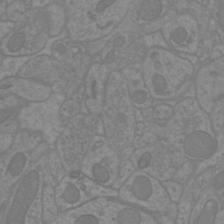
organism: Mouse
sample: Cortical neurons